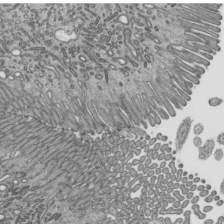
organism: Mouse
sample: Mouse epididymis efferent ductule cilia